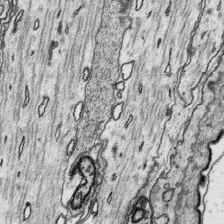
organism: Platynereis dumerilii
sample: Parapodia